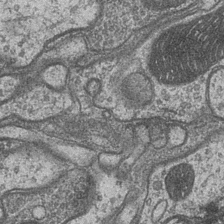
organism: Drosophila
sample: Optic medulla